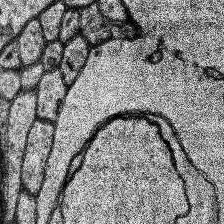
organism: Human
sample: Temporal Lobe